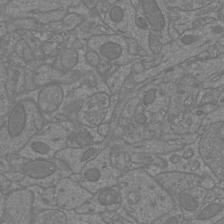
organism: Mouse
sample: Cortical neurons